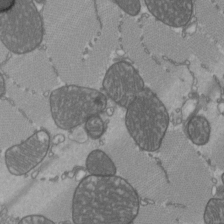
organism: C57BL Mouse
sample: Heart